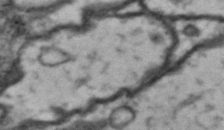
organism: Drosophila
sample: Brain